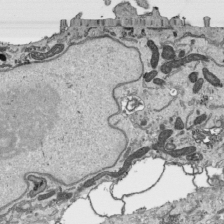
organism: Human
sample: Mitochondria in HCT116 cells